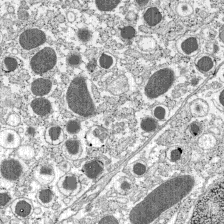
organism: C57BL Mouse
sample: Pancreatic islet